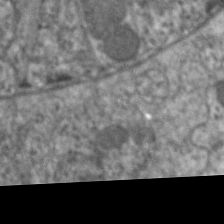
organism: C. elegans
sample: Pharynx